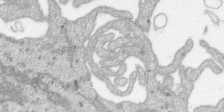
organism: Human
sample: Lung epithelial cells infected with SARS-CoV-2